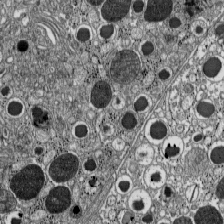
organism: C57BL Mouse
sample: Pancreatic islet